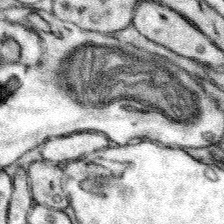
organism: Mouse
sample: Somatosensory cortex neuropil